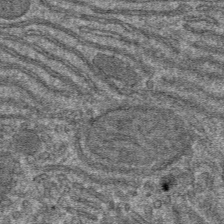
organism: Mouse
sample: Mouse hepatocytes